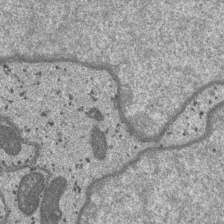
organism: Human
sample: Lung epithelial cells infected with SARS-CoV-2